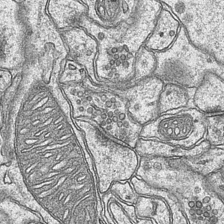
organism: Mouse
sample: CA1 Hippocampus